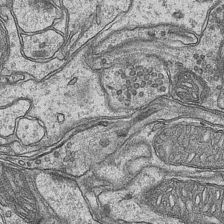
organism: Mouse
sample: CA1 Hippocampus